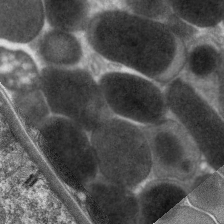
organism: C. elegans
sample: Pharynx